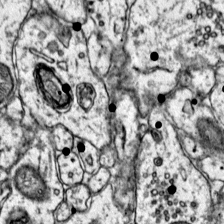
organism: Mouse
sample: Primary visual cortex